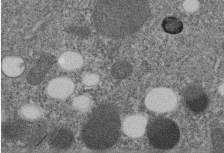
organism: C. elegans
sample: C. elegans embryo early stage